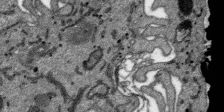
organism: Human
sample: Lung epithelial cells, uninfected (mock) control